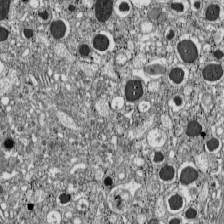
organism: C57BL Mouse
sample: Pancreatic islet